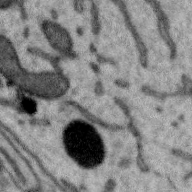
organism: Zebra finch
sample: Brain